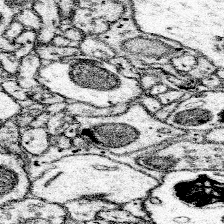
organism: Mouse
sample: Somatosensory cortex neuropil